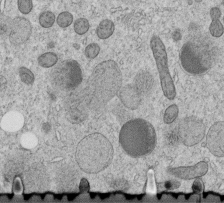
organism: C. elegans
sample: C. elegans embryo early stage